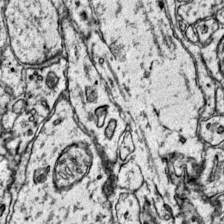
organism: Mouse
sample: Primary visual cortex